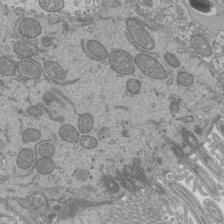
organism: Mouse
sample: Cilia; mouse epididymis